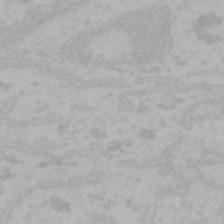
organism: Mouse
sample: Choroid plexus